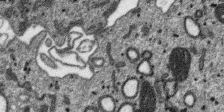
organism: Human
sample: Lung epithelial cells infected with SARS-CoV-2